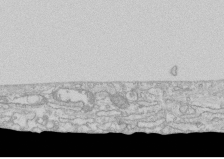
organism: Human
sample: CRL-1474